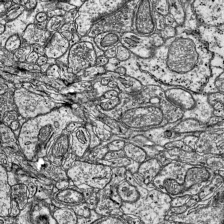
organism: Mouse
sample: Visual Cortex